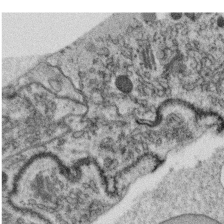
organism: C. elegans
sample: C. elegans oocyte; sperm cells